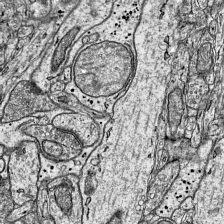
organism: Mouse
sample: Visual Cortex